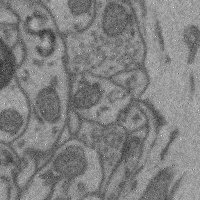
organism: Mouse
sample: Cerebral cortex